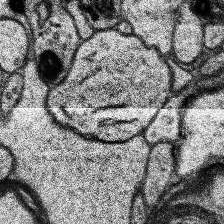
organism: Human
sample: Temporal Lobe